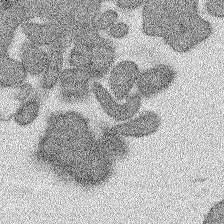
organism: Human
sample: HeLa cells